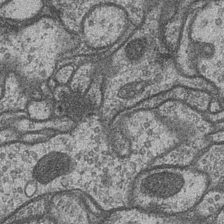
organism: Drosophila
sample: Optic medulla